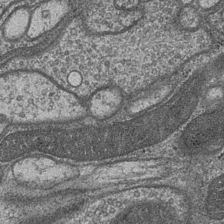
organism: Drosophila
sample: Optic medulla